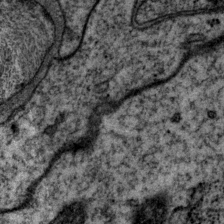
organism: P. pacificus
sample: Pharynx